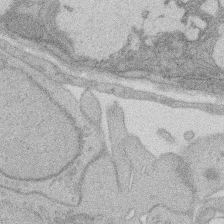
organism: Rat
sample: Salivary granule